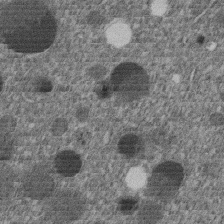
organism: C. elegans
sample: C. elegans embryo early stage